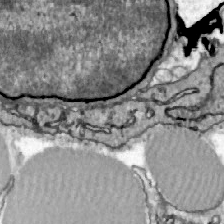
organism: Zebrafish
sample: Actinotrichia fibers